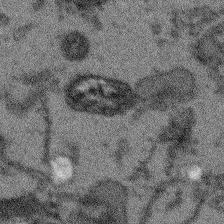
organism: Arabidopsis thaliana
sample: Root tip